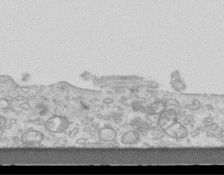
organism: Mouse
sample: Centriole in ependymal cells